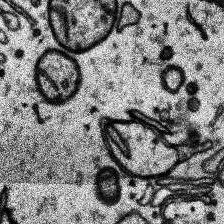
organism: Human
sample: Temporal Lobe